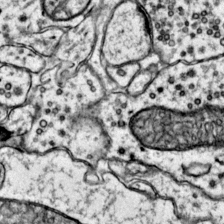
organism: Mouse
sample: Primary visual cortex